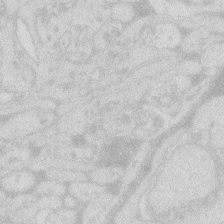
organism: Zebrafish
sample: Macrophage